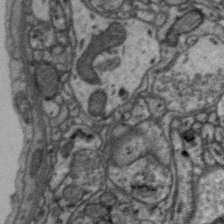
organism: Zebra finch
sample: Brain